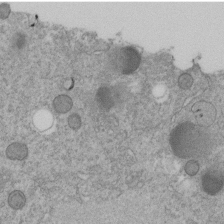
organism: C. elegans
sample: C. elegans embryo early stage